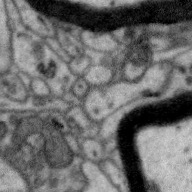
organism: Zebra finch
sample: Brain